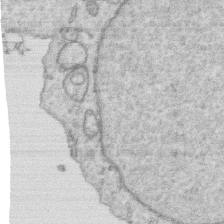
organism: Human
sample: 1205lu cells